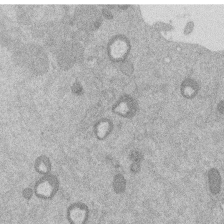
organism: Mouse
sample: Dividing mouse embryo 1 cell stage